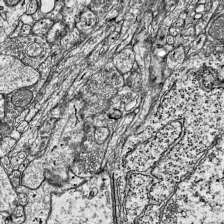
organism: Mouse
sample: Visual Cortex